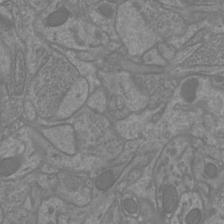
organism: Mouse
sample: Cortical neurons